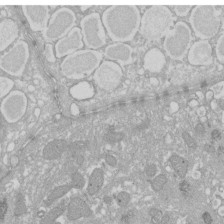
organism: Xenopus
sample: Cilia; centrioles in frog embryo cells